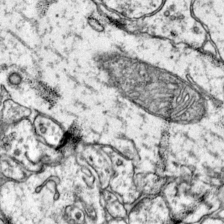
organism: Mouse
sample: Primary visual cortex